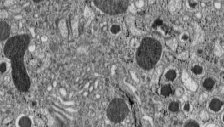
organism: C57BL Mouse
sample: Pancreatic islet